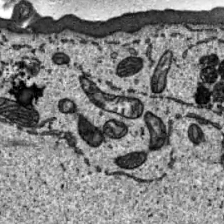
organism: Human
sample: HeLa cells